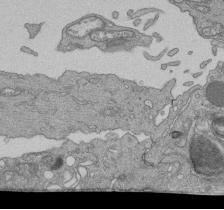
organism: Human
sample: Retinal organoid Rod and Cone cells